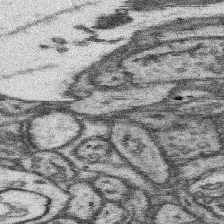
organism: Mouse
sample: Somatosensory cortex neuropil